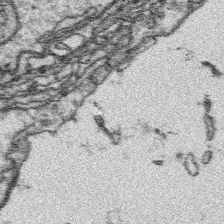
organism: Platynereis dumerilii